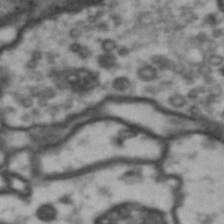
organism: Drosophila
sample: Brain